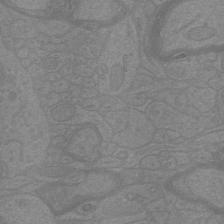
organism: Mouse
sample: Cortical neurons